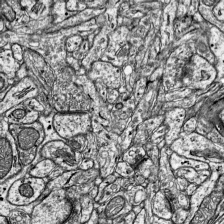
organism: Mouse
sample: Visual Cortex